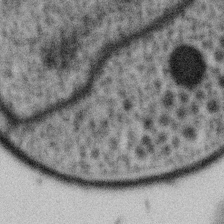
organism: Gemmata obscuriglobus